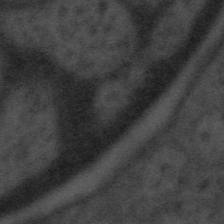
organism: Tuwongella immobilis